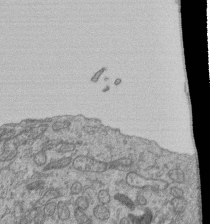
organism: Human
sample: Retinal organoid Rod and Cone cells